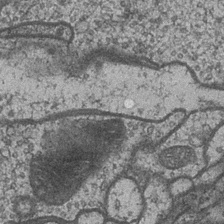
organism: Drosophila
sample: Optic medulla